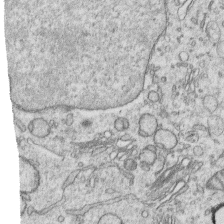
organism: Human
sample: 1205lu cells